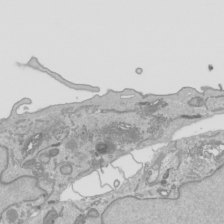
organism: Human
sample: Mitochondria in HCT116 cells